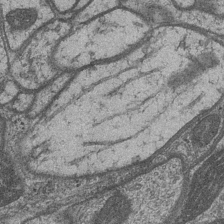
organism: Drosophila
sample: Optic medulla